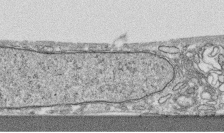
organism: Human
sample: CRL-1474